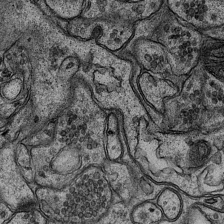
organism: Mouse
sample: CA1 Hippocampus